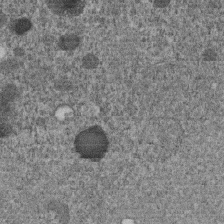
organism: C. elegans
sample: C. elegans embryo early stage